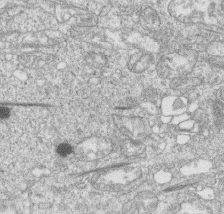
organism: Human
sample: HeLa cell HIV synapse